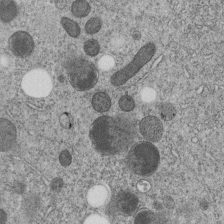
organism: C. elegans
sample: C. elegans embryo early stage